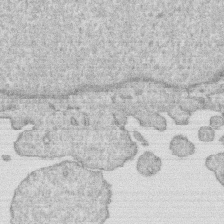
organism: Human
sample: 1205lu cells